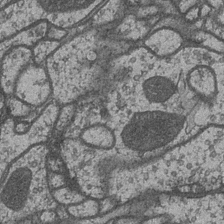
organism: Drosophila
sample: Optic medulla